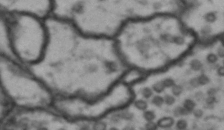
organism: Drosophila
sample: Brain